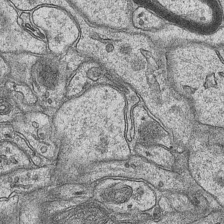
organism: Mouse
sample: CA1 Hippocampus